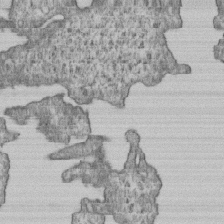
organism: Human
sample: MDA-MB-231 cells